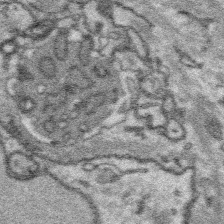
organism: Platynereis dumerilii